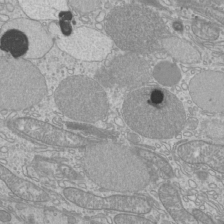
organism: Mouse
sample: Cilia; mouse epididymis